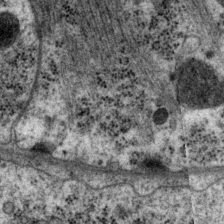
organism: P. pacificus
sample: Pharynx